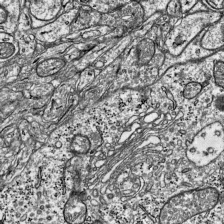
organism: Mouse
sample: Visual Cortex